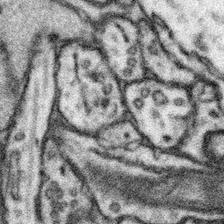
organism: Mouse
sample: Somatosensory cortex neuropil